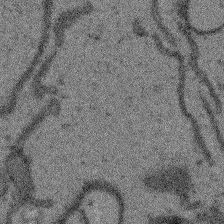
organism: Arabidopsis thaliana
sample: Root tip